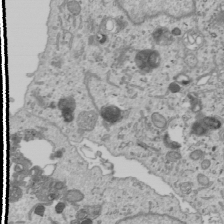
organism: Human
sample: Mitochondria in U2OS cells